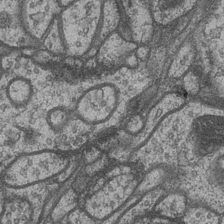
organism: Drosophila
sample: Optic medulla